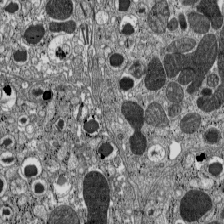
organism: C57BL Mouse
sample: Pancreatic islet